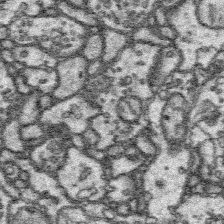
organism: Platynereis dumerilii